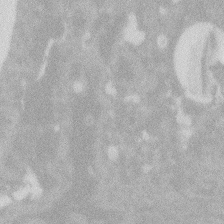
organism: Zebrafish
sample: Macrophage